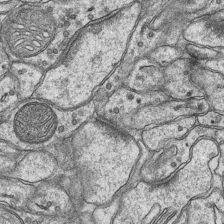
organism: Mouse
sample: CA1 Hippocampus